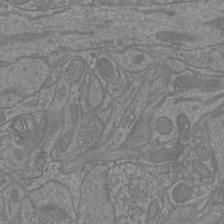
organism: Mouse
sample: Cortical neurons